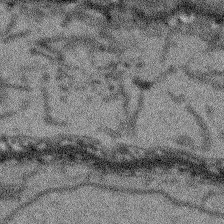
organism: Arabidopsis thaliana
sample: Root tip